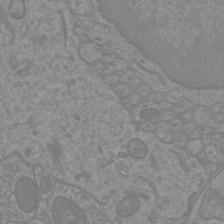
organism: Mouse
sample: Cortical neurons